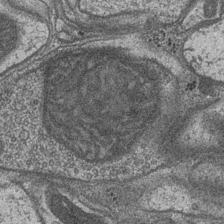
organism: Drosophila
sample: Optic medulla